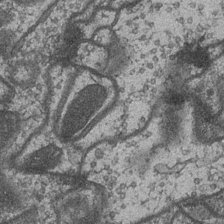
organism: Drosophila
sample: Optic medulla